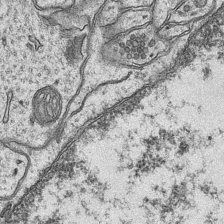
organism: Mouse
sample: CA1 Hippocampus